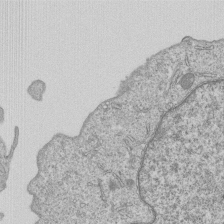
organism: Human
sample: MDA-MB-231 cells